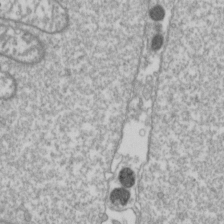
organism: Drosophila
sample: Cell division; meiosis; drosophila spermatocytes